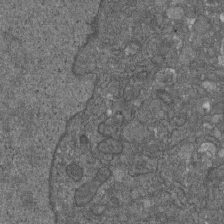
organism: Drosophila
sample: Nephrocyte